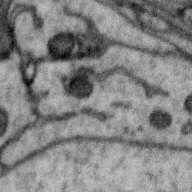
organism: Zebra finch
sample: Brain